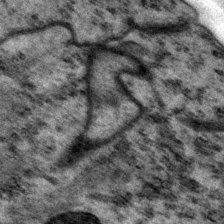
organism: P. pacificus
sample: Pharynx